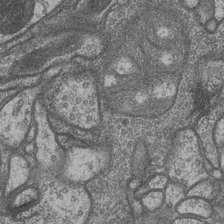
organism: Drosophila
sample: Optic medulla